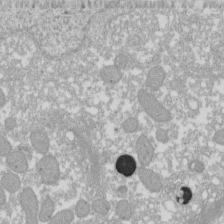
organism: Xenopus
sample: Cilia; centrioles in frog embryo cells